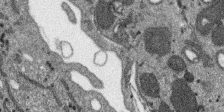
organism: Human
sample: Lung epithelial cells infected with SARS-CoV-2